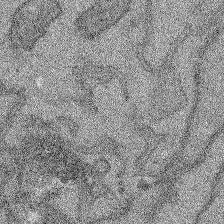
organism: Human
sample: HeLa cells